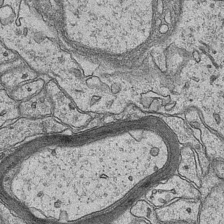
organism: Mouse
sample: CA1 Hippocampus